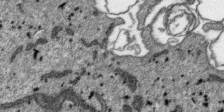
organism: Human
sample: Lung epithelial cells, uninfected (mock) control